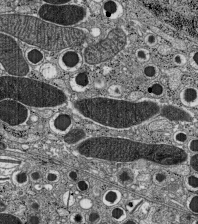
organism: C57BL Mouse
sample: Pancreatic islet